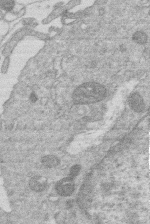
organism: Human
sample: Macrophage cells